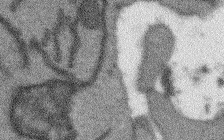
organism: Arabidopsis thaliana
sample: Root tip